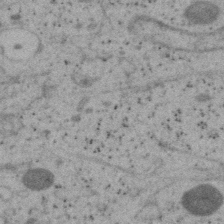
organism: Human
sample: HeLa cells